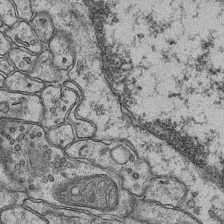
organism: Mouse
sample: CA1 Hippocampus